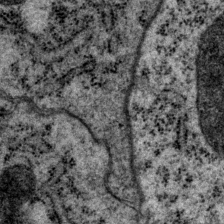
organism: P. pacificus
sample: Pharynx